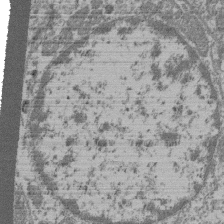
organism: Mouse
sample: Glomerulus